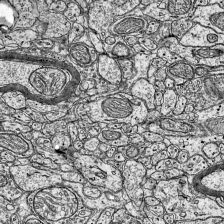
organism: Mouse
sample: Visual Cortex